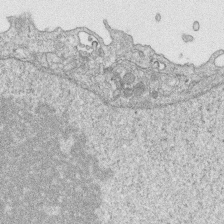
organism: Human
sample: HeLa cell HIV synapse